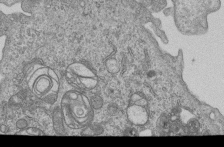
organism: Human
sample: MDA-MB-231 cells